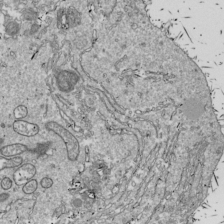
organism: Drosophila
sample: Cell division; meiosis; drosophila spermatocytes